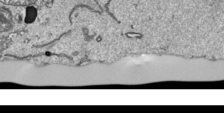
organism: Human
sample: Mitochondria in HCT116 cells